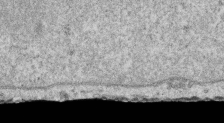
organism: Human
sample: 1205lu cells